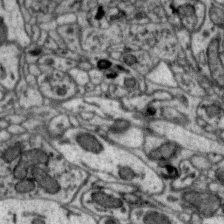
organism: Zebra finch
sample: Brain